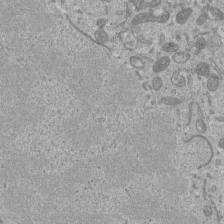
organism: Mouse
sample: ED-1 cell nuclei; centrioles